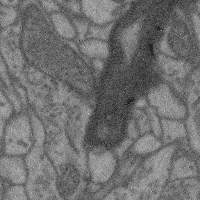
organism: Mouse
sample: Cerebral cortex